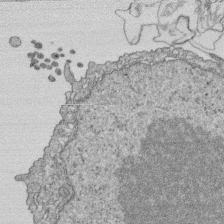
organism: Human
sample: HeLa cell HIV synapse